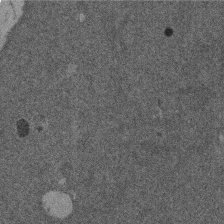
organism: Mouse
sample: Dividing mouse embryo 1 cell stage